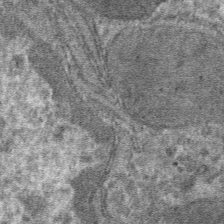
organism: Mouse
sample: Mouse hepatocytes